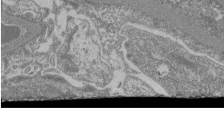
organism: Mouse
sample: Glomerulus